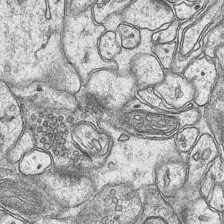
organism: Mouse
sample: CA1 Hippocampus